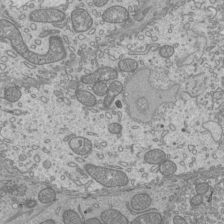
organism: Mouse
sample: Cilia; mouse epididymis